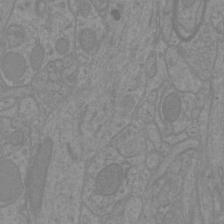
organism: Mouse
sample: Cortical neurons